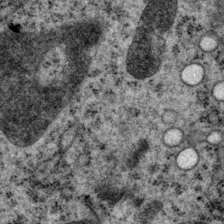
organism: P. pacificus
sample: Pharynx